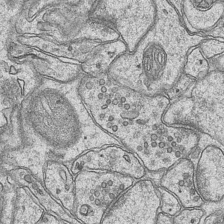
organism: Mouse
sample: CA1 Hippocampus